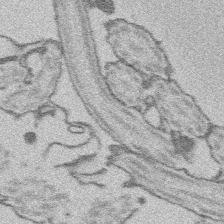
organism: Platynereis dumerilii